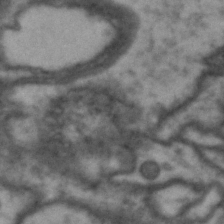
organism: Drosophila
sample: Brain